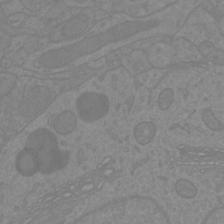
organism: Mouse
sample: Cortical neurons